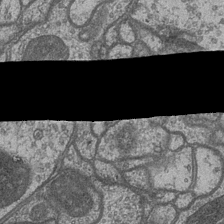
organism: Drosophila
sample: Optic medulla